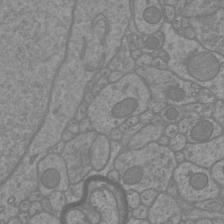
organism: Mouse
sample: Cortical neurons